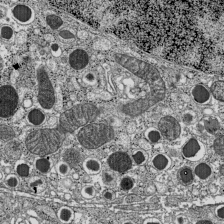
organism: C57BL Mouse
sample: Pancreatic islet